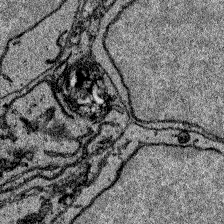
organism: Zebrafish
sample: Larval olfactory bulb